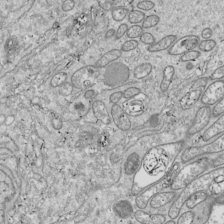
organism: Drosophila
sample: Cell division; meiosis; drosophila spermatocytes